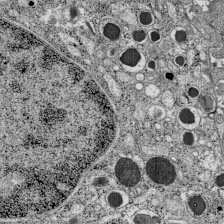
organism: C57BL Mouse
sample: Pancreatic islet